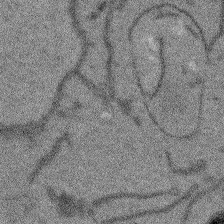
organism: Arabidopsis thaliana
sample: Root tip